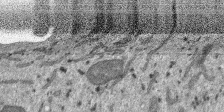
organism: Human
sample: Lung epithelial cells infected with SARS-CoV-2